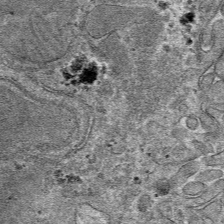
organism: Mouse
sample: Mouse hepatocytes